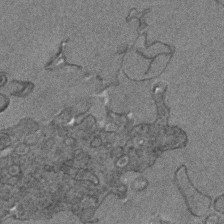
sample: Trachea